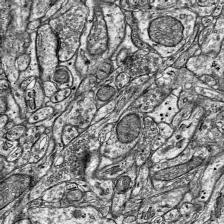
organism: Mouse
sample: Visual Cortex